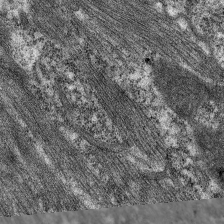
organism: C. elegans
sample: Pharynx